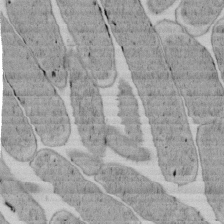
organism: E. coli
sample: Bacterial nucleoid